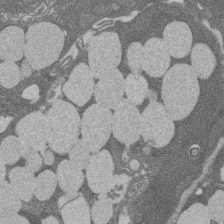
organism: Rat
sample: Salivary granule